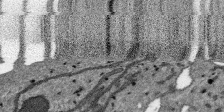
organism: Human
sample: Lung epithelial cells, uninfected (mock) control